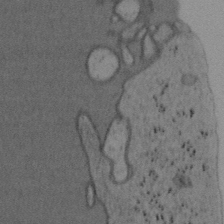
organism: Human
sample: HeLa cells